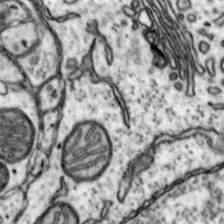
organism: Mouse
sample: Nucleus accumbens